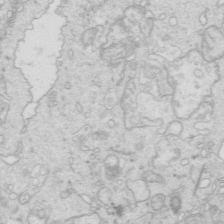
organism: Mouse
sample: Multiciliated cells